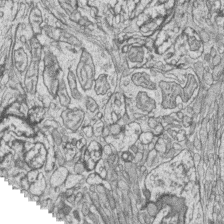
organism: Zebrafish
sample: synaptic ribbons in rod cells and cone cells